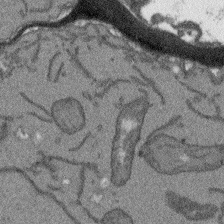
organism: Arabidopsis thaliana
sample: Root tip